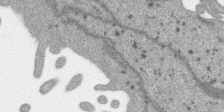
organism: Human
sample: Lung epithelial cells infected with SARS-CoV-2